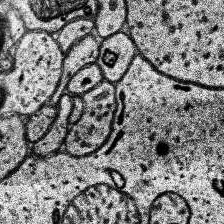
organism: Human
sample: Temporal Lobe